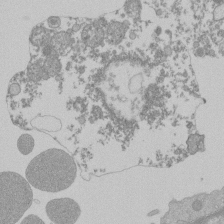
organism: Mouse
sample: Activated Pmel transgenic CD8+ T Cells